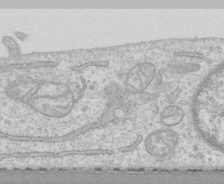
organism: Human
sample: CRL-1474